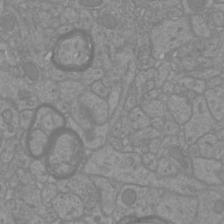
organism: Mouse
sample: Cortical neurons